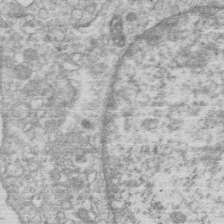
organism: Human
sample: Macrophage cells